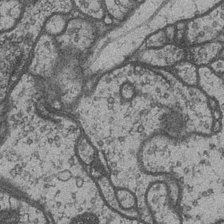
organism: Drosophila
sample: Optic medulla